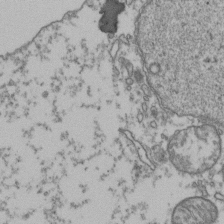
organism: Human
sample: Activated Jurkat CD4+ T cells